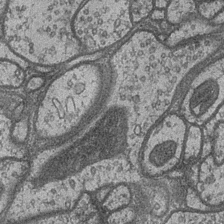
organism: Drosophila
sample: Optic medulla